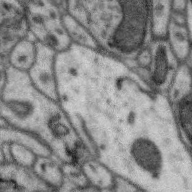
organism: Zebra finch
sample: Brain